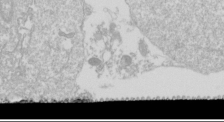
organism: Drosophila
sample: Cell division; meiosis; drosophila spermatocytes